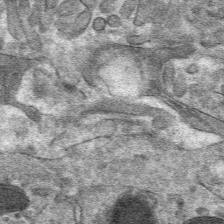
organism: Mouse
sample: Mouse hepatocytes